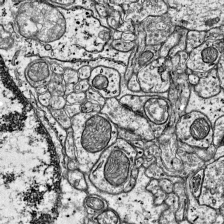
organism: Mouse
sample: Visual Cortex